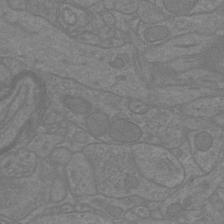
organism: Mouse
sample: Cortical neurons